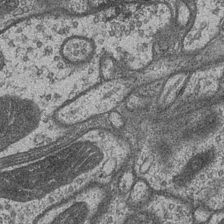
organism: Drosophila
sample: Optic medulla